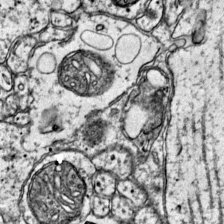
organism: Mouse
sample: Primary visual cortex